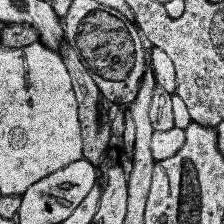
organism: Human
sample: Temporal Lobe